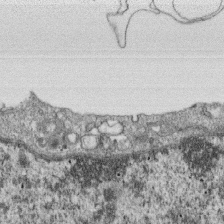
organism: African green monkey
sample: Vero E6 cells infected with SARS-CoV-2